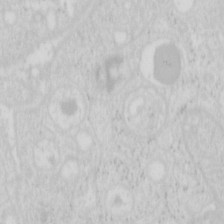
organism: Mouse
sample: Pancreas